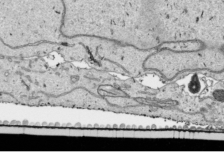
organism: Human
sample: Mitochondria in HCT116 cells